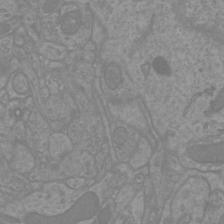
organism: Mouse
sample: Cortical neurons